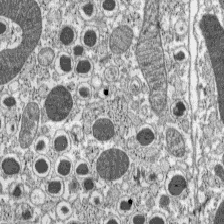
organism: C57BL Mouse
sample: Pancreatic islet